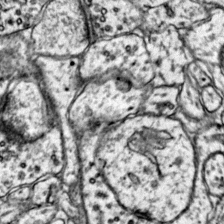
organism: Mouse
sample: Primary visual cortex